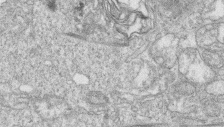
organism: Human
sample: HeLa cell HIV synapse